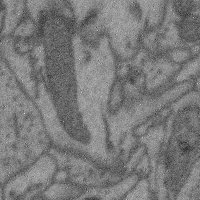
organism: Mouse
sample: Cerebral cortex